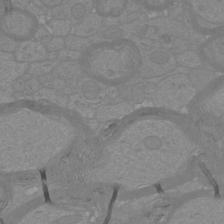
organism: Mouse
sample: Cortical neurons